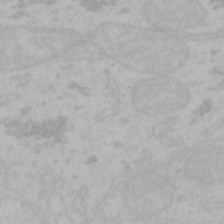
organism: Mouse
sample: Choroid plexus